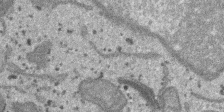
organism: Human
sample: Lung epithelial cells infected with SARS-CoV-2